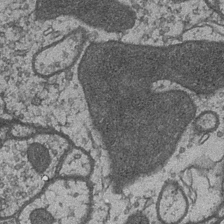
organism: Drosophila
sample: Optic medulla